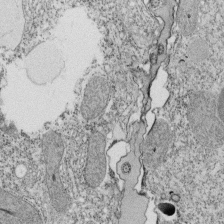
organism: Tetrahymena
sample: Cilia in tetrahymena